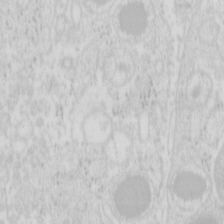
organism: Mouse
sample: Pancreas